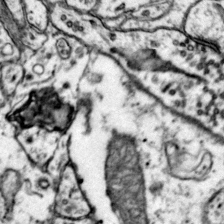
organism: Mouse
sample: Primary visual cortex